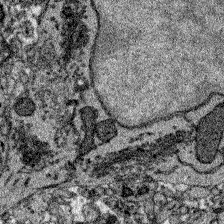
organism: Zebrafish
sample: Larval olfactory bulb